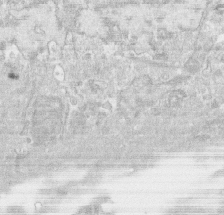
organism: Human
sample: CRL-1474